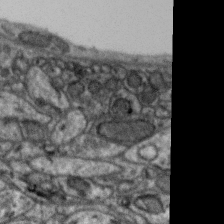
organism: Zebra finch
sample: Brain